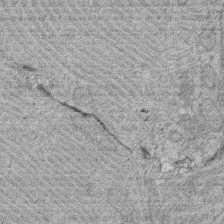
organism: Rat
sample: Salivary granule